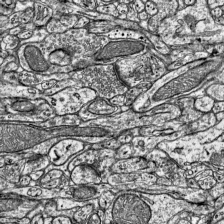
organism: Mouse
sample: Visual Cortex